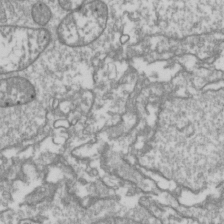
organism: Drosophila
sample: Cell division; meiosis; drosophila spermatocytes